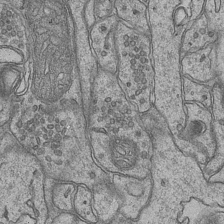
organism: Mouse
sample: CA1 Hippocampus